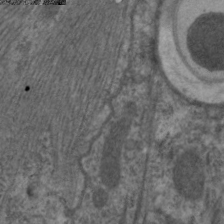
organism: C. elegans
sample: Pharynx